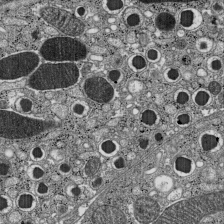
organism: C57BL Mouse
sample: Pancreatic islet